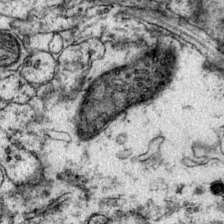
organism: Mouse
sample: Primary visual cortex